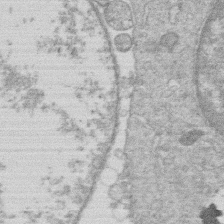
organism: Human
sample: Macrophage cells